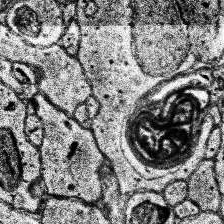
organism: Human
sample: Temporal Lobe